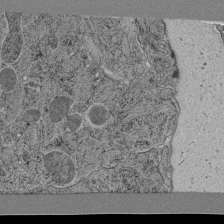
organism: C. elegans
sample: C. elegans pharynx